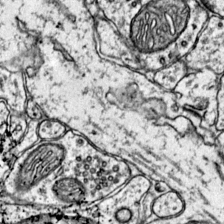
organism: Mouse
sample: Primary visual cortex